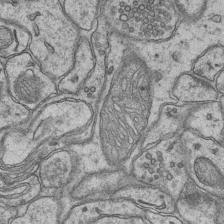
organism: Mouse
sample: CA1 Hippocampus